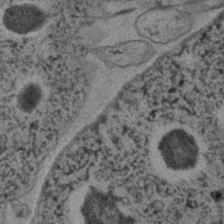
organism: C. elegans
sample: C. elegans embryo